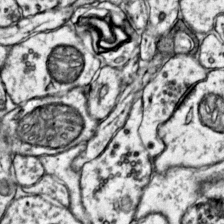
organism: Mouse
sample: Primary visual cortex